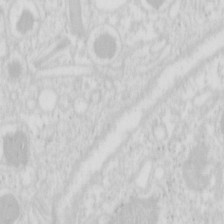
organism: Mouse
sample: Pancreas